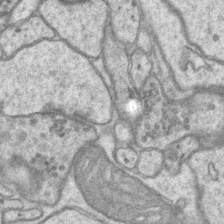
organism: Mouse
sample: CA1 Hippocampus